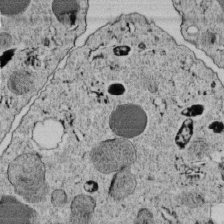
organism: C. elegans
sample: C. elegans embryo early stage